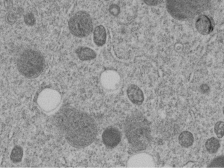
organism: C. elegans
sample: C. elegans embryo early stage